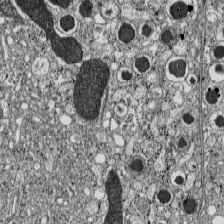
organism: C57BL Mouse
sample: Pancreatic islet